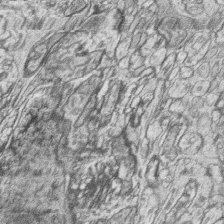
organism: Zebrafish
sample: synaptic ribbons in rod cells and cone cells